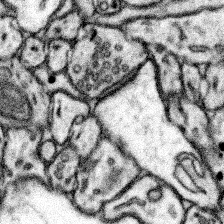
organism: Mouse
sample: Somatosensory cortex neuropil